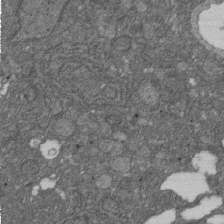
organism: Drosophila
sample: Nephrocyte